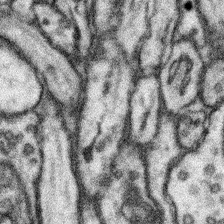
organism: Mouse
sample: Somatosensory cortex neuropil